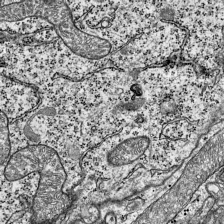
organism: Mouse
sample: Visual Cortex